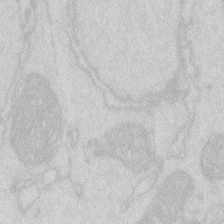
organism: Zebrafish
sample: Macrophage